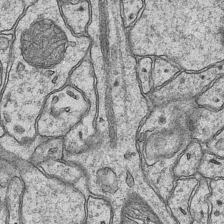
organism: Mouse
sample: CA1 Hippocampus